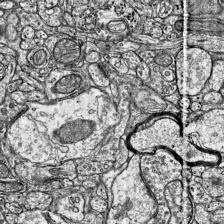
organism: Mouse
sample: Visual Cortex